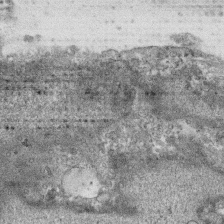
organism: Human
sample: CRL-1474